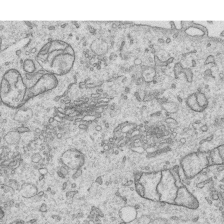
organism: Human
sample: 1205lu cells